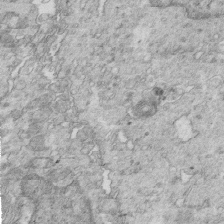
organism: Mouse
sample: Multiciliated cells